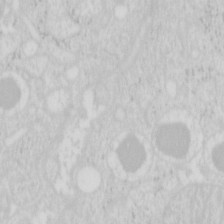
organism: Mouse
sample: Pancreas